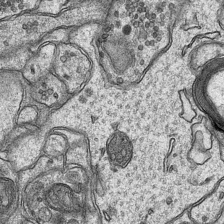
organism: Mouse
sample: CA1 Hippocampus